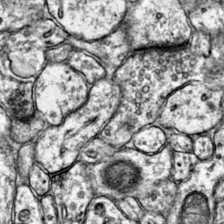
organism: Mouse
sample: Primary visual cortex